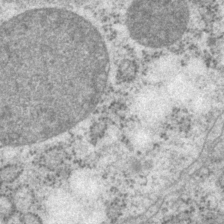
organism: P. pacificus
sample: Pharynx